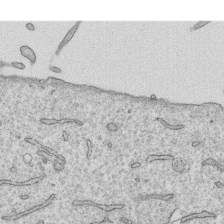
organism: Human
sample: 1205lu cells